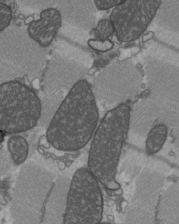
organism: C57BL Mouse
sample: Heart